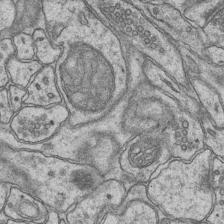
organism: Mouse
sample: CA1 Hippocampus